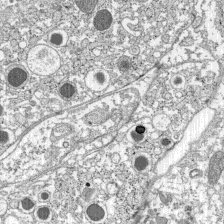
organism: C57BL Mouse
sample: Pancreatic islet